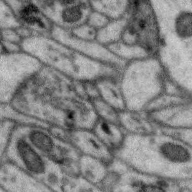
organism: Zebra finch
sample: Brain